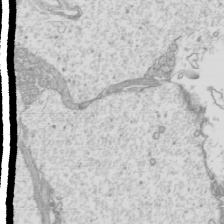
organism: Mouse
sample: Cilia; mouse epididymis